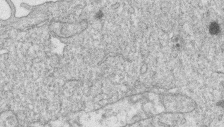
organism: Human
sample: HeLa cell HIV synapse